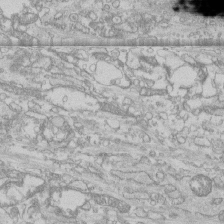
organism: Human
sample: CRL-1474